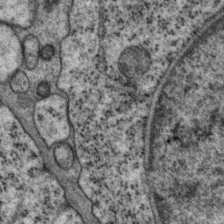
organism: P. pacificus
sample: Pharynx